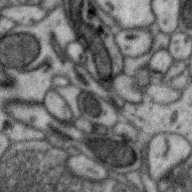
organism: Zebra finch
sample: Brain